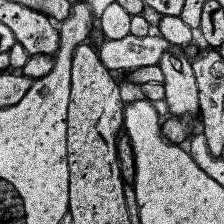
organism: Human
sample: Temporal Lobe